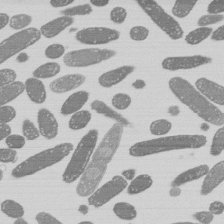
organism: E. coli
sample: Bacterial nucleoid